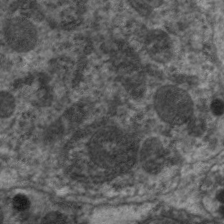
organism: C. elegans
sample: Pharynx